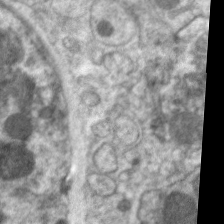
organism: C. elegans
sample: Pharynx